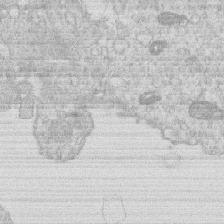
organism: Human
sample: Macrophage cells